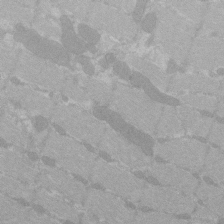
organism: C57BL Mouse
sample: Tibialis anterior muscle cell